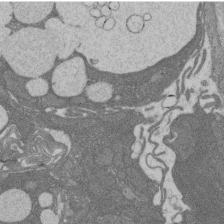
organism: Rat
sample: Salivary granule